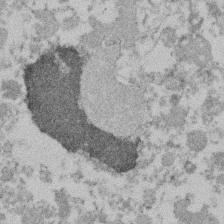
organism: Mouse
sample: Dividing mouse embryo 1 cell stage